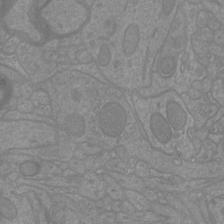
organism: Mouse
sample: Cortical neurons